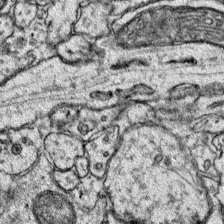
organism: Mouse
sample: Primary visual cortex